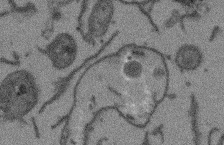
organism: Arabidopsis thaliana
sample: Root tip